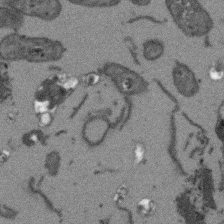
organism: Arabidopsis thaliana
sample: Root tip